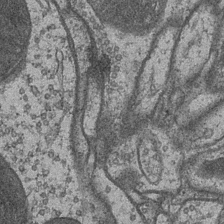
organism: Drosophila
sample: Optic medulla